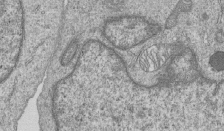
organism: Human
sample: MDA-MB-231 cells